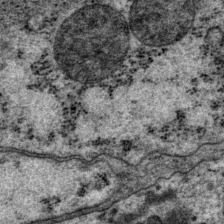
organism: P. pacificus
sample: Pharynx